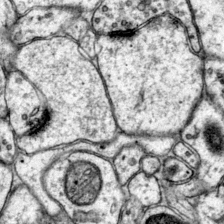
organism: Mouse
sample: Primary visual cortex